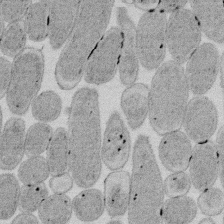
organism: E. coli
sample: Bacterial nucleoid